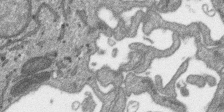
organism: Human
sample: Lung epithelial cells infected with SARS-CoV-2